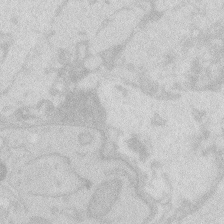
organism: Zebrafish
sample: Macrophage